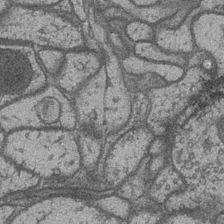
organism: Drosophila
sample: Optic medulla